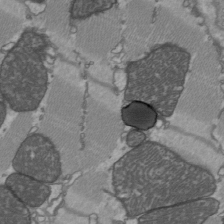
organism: C57BL Mouse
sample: Heart